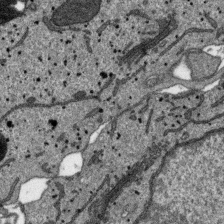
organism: Human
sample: Lung epithelial cells, uninfected (mock) control